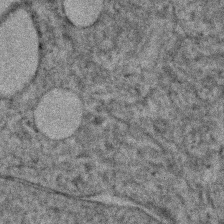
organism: Human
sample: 1205lu cells